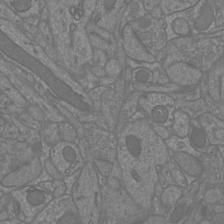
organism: Mouse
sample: Cortical neurons